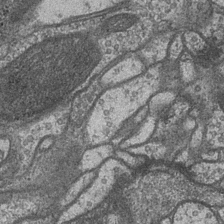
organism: Drosophila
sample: Optic medulla